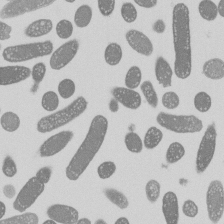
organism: E. coli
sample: Bacterial nucleoid